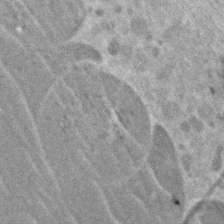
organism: Zebrafish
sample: Zebrafish embryo